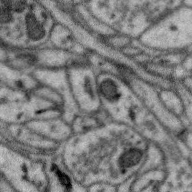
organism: Zebra finch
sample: Brain